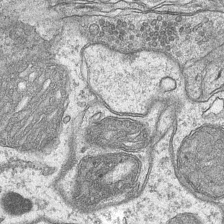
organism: Mouse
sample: CA1 Hippocampus